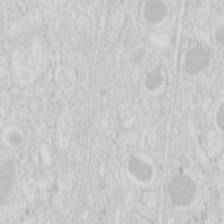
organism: Mouse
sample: Pancreas